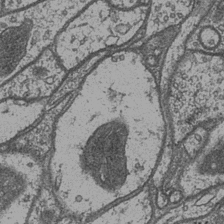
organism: Drosophila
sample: Optic medulla